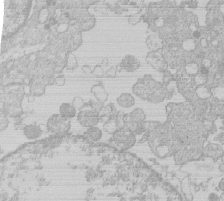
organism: Human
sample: Macrophage cells